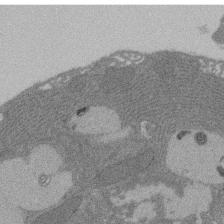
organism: Rat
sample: Salivary granule